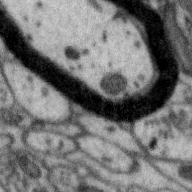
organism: Zebra finch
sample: Brain